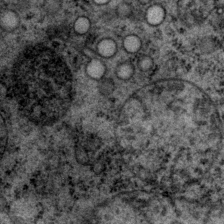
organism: P. pacificus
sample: Pharynx